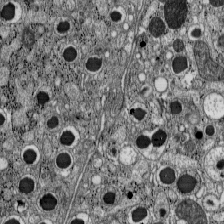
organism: C57BL Mouse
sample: Pancreatic islet